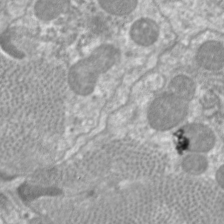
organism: C. elegans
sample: Pharynx